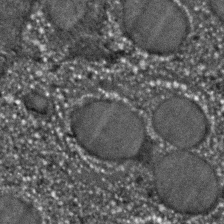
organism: C. elegans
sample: C. elegans embryo